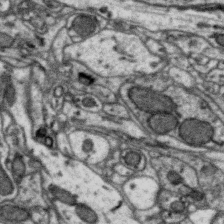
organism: Zebra finch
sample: Brain